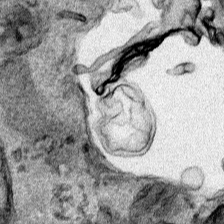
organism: Human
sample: Mitochondria in HCT116 cells